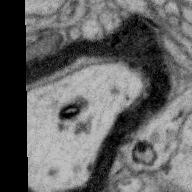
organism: Zebra finch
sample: Brain